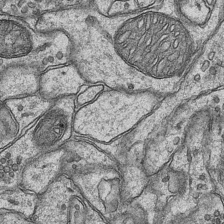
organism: Mouse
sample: CA1 Hippocampus